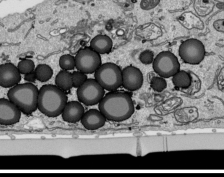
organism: Human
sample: Mitochondria in HCT116 cells